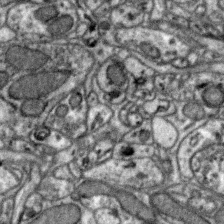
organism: Zebra finch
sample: Brain